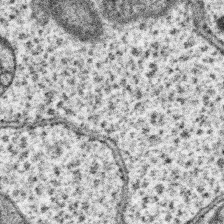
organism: Human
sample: HeLa cells